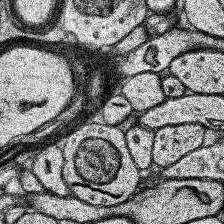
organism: Human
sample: Temporal Lobe